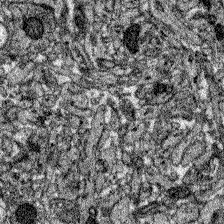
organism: Zebrafish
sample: Larval olfactory bulb